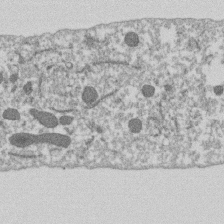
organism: Dictyostelium discoideum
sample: Dictyostelium multivesicular bodies